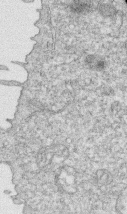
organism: Human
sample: HeLa cell HIV synapse